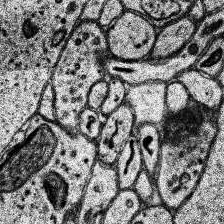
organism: Human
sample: Temporal Lobe